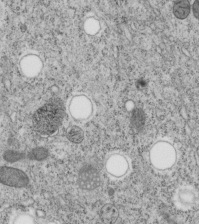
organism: C. elegans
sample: C. elegans embryo early stage